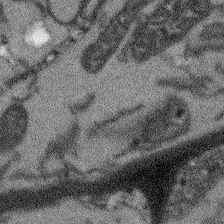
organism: Arabidopsis thaliana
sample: Root tip